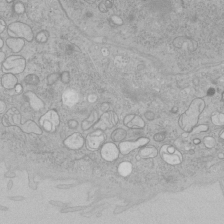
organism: Human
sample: Mitochondria in HCT116 cells